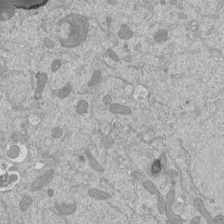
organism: Mouse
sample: ED-1 cell nuclei; centrioles